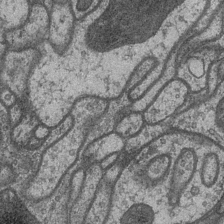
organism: Drosophila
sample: Optic medulla